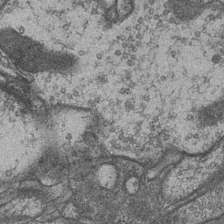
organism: Drosophila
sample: Optic medulla